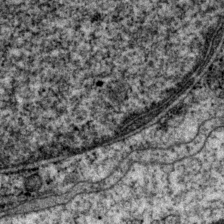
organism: P. pacificus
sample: Pharynx